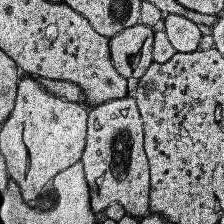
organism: Human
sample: Temporal Lobe